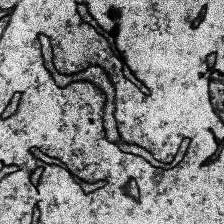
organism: Human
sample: Temporal Lobe